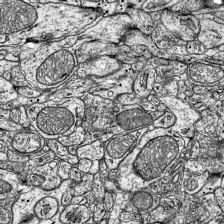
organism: Mouse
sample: Visual Cortex